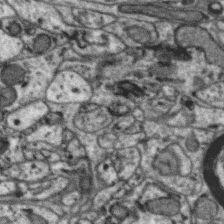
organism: Zebra finch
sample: Brain